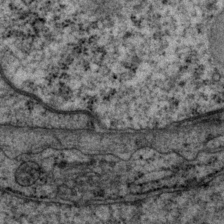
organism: P. pacificus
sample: Pharynx